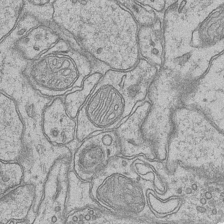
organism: Mouse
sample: CA1 Hippocampus